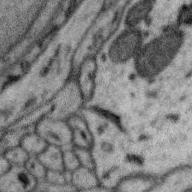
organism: Zebra finch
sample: Brain